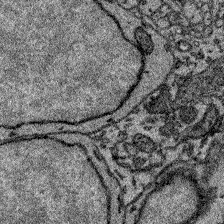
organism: Zebrafish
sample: Larval olfactory bulb